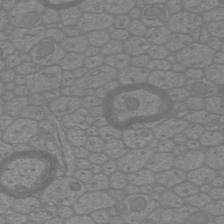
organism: Mouse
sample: Cortical neurons